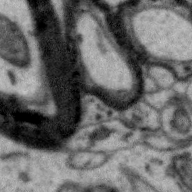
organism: Zebra finch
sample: Brain